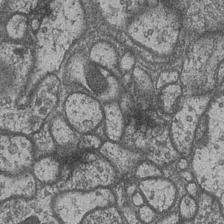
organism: Drosophila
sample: Optic medulla